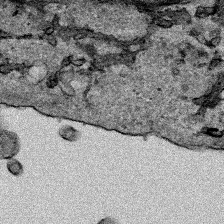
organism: Human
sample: Mitochondria in HCT116 cells